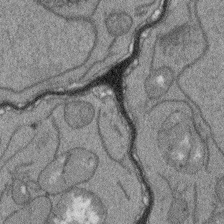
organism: Arabidopsis thaliana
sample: Root tip